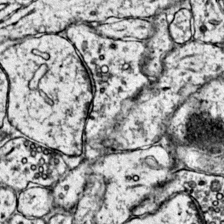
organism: Mouse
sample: Primary visual cortex